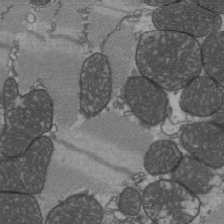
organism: C57BL Mouse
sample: Heart